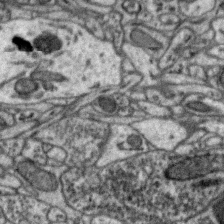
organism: Zebra finch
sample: Brain